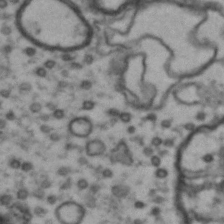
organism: Drosophila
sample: Brain